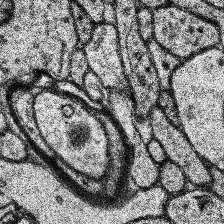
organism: Human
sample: Temporal Lobe